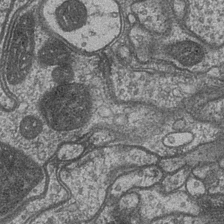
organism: Drosophila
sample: Optic medulla